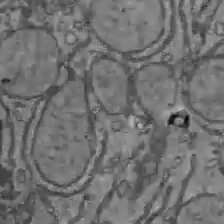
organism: C57BL Mouse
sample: Liver